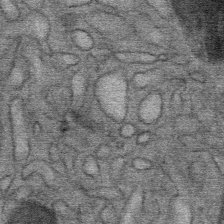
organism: Mouse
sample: Mouse Salivary gland